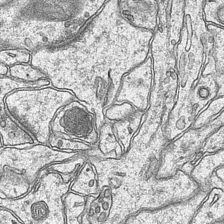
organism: Mouse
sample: CA1 Hippocampus